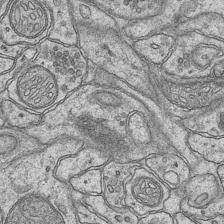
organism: Mouse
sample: CA1 Hippocampus